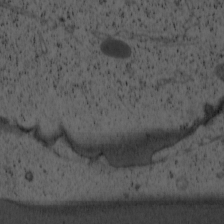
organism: African green monkey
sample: COS-7 cells